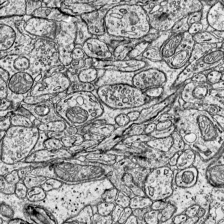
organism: Mouse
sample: Visual Cortex